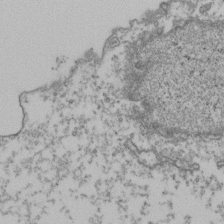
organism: Human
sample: Activated Jurkat CD4+ T cells